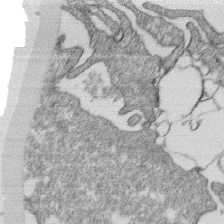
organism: African green monkey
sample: Vero E6 cells infected with SARS-CoV-2